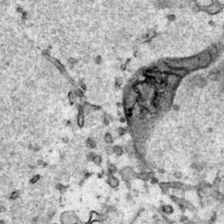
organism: Human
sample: Mitochondria in HCT116 cells